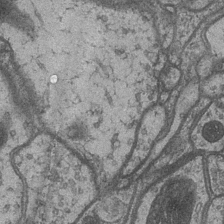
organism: Drosophila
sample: Optic medulla